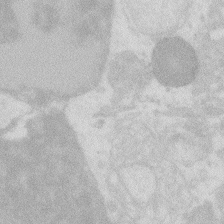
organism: Zebrafish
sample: Macrophage